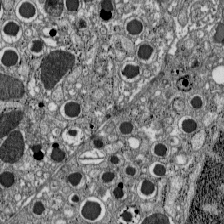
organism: C57BL Mouse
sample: Pancreatic islet